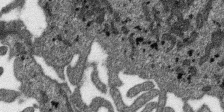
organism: Human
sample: Lung epithelial cells infected with SARS-CoV-2